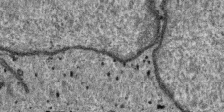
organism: Human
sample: Lung epithelial cells, uninfected (mock) control